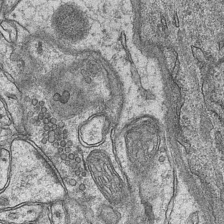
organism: Mouse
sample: CA1 Hippocampus